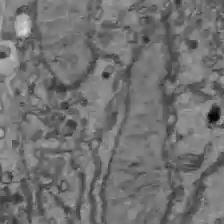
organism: C57BL Mouse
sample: Liver